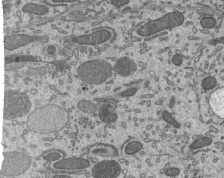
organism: Mouse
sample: Mouse epididymis efferent ductule cilia